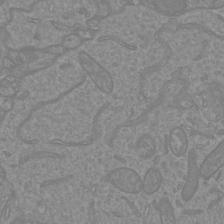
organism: Mouse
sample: Cortical neurons